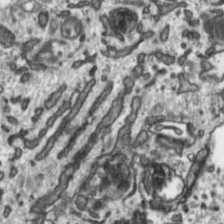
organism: Toxoplasma gondii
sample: Parasites in a vacuole inside a host cell